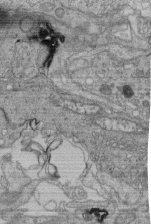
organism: Human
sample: Retinal organoid Rod and Cone cells